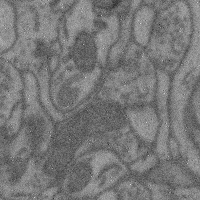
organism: Mouse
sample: Cerebral cortex